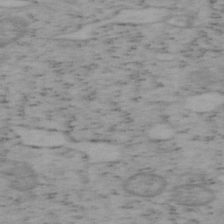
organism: Mouse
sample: OT-I killer T cells with ID8 ovarian cancer cells